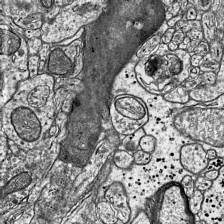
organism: Mouse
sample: Visual Cortex